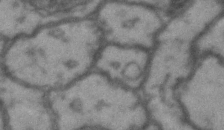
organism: Drosophila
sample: Brain